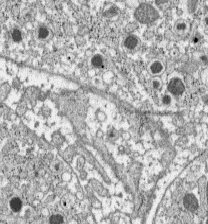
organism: C57BL Mouse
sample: Pancreatic islet